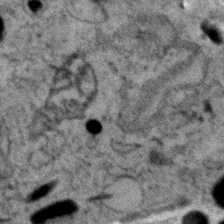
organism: Zebrafish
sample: Zebrafish embryo